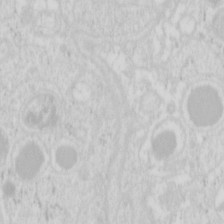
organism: Mouse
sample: Pancreas